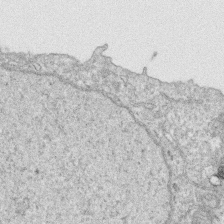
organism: Human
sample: HeLa cell HIV synapse